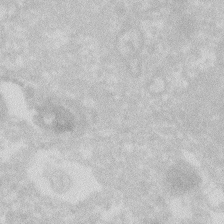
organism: Zebrafish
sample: Macrophage